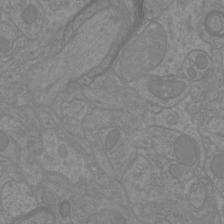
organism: Mouse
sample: Cortical neurons